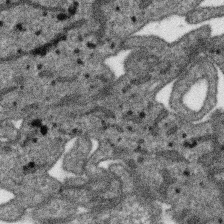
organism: Human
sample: Lung epithelial cells infected with SARS-CoV-2